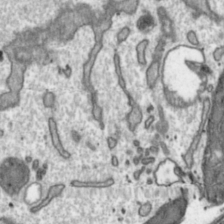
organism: Toxoplasma gondii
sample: Parasites in a vacuole inside a host cell